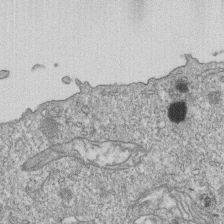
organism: Human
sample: HeLa cell HIV synapse